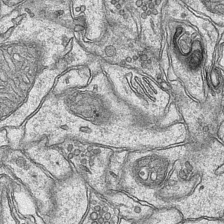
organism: Mouse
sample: CA1 Hippocampus